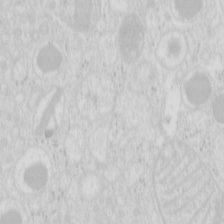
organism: Mouse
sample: Pancreas